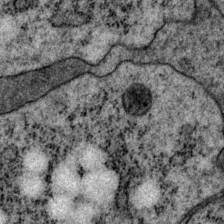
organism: P. pacificus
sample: Pharynx